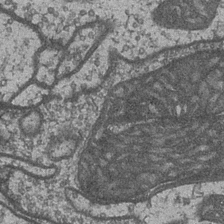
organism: Drosophila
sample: Optic medulla